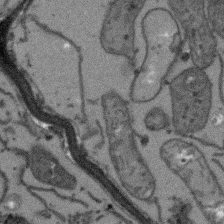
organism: Arabidopsis thaliana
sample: Root tip